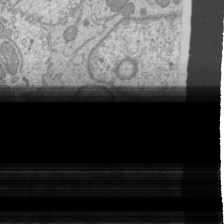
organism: Mouse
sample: Cilia; mouse epididymis